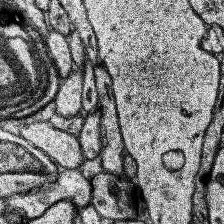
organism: Human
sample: Temporal Lobe